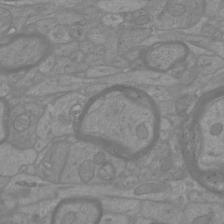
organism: Mouse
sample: Cortical neurons